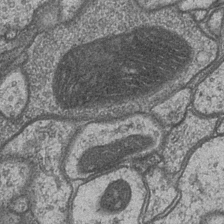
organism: Drosophila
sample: Optic medulla